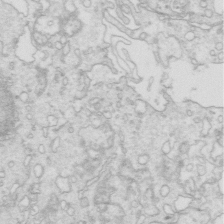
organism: Mouse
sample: Multiciliated cells